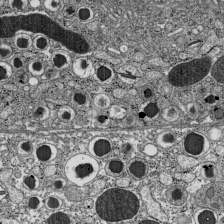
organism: C57BL Mouse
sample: Pancreatic islet